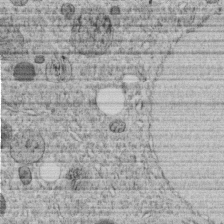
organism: C. elegans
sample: C. elegans embryo early stage